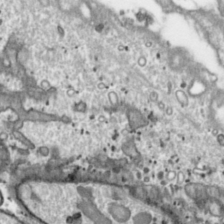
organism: Toxoplasma gondii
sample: Parasites in a vacuole inside a host cell